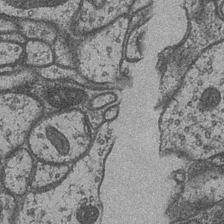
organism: Drosophila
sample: Optic medulla